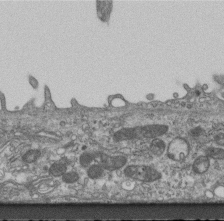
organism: Mouse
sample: Centriole in ependymal cells